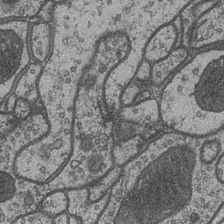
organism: Drosophila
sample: Optic medulla